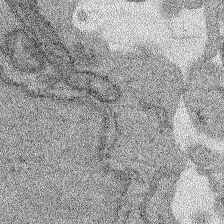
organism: Human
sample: HeLa cells